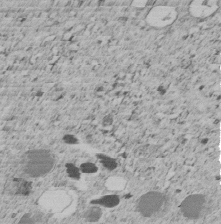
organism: C. elegans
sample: C. elegans embryo early stage